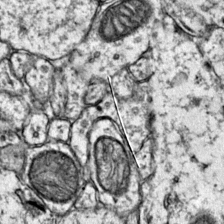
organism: Mouse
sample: Primary visual cortex